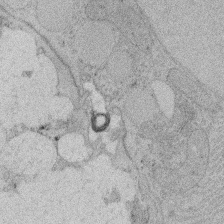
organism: Rat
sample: Salivary granule